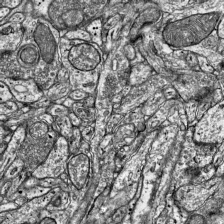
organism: Mouse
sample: Visual Cortex